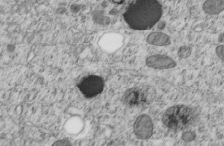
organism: C. elegans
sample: C. elegans embryo early stage